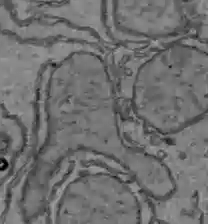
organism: C57BL Mouse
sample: Liver